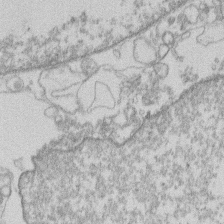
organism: Human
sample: Macrophage cells